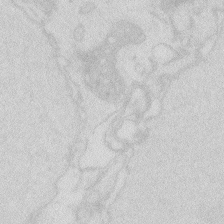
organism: Zebrafish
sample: Macrophage